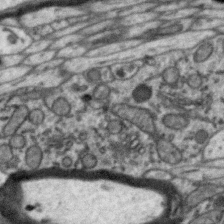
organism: Zebra finch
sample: Brain